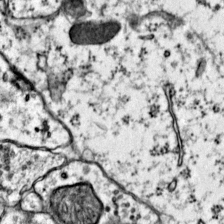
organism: Mouse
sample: Primary visual cortex